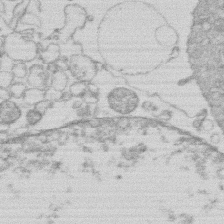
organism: Human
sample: Macrophage cells